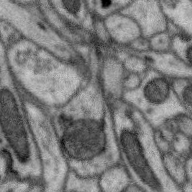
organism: Zebra finch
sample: Brain